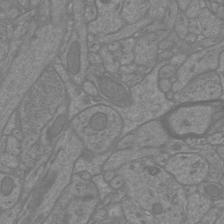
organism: Mouse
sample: Cortical neurons